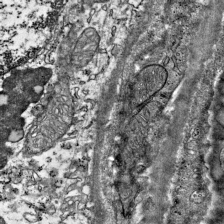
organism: Mouse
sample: Visual Cortex